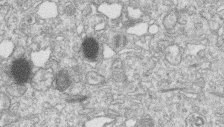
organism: Human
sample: HeLa cell HIV synapse